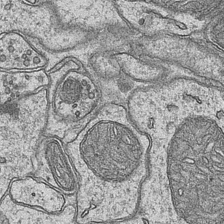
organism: Mouse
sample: CA1 Hippocampus